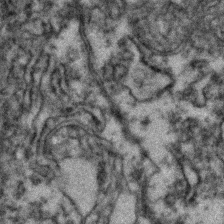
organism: Zebrafish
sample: Zebrafish embryo